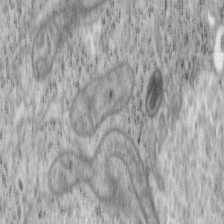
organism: Human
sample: HeLa cells